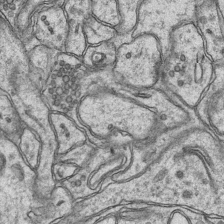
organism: Mouse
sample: CA1 Hippocampus